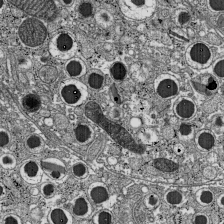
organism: C57BL Mouse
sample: Pancreatic islet